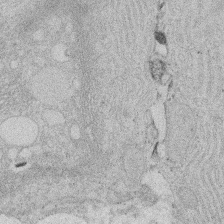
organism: Rat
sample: Salivary granule